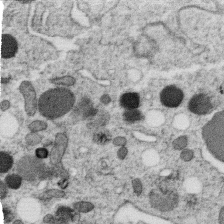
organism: C. elegans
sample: C. elegans oocyte; sperm cells